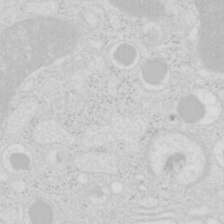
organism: Mouse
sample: Pancreas